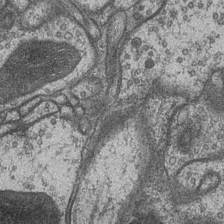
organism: Drosophila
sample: Optic medulla